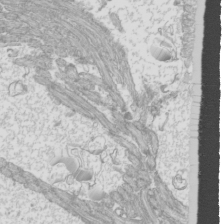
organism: Mouse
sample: Cilia; mouse epididymis